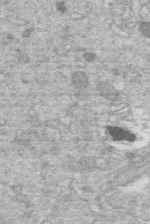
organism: Human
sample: Macrophage cells